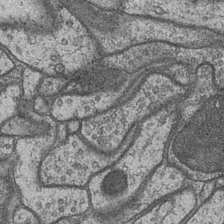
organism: Drosophila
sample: Optic medulla